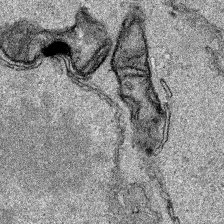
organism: Human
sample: Mitochondria in HCT116 cells